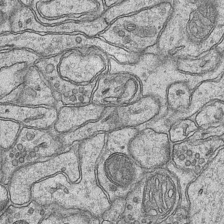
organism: Mouse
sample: CA1 Hippocampus